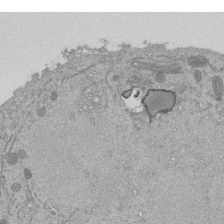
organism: Mouse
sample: ED-1 cell nuclei; centrioles